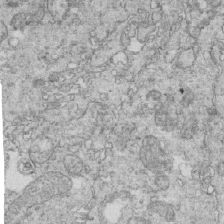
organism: Mouse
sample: Multiciliated cells